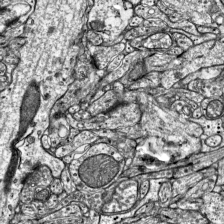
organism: Mouse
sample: Visual Cortex